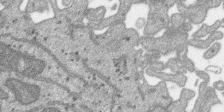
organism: Human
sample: Lung epithelial cells infected with SARS-CoV-2